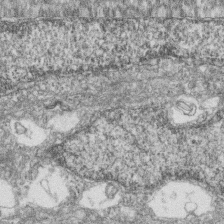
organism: Zebrafish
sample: Cilia; retinal pigment epithelium